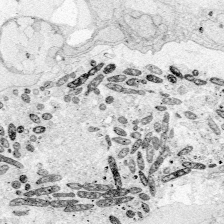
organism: Zebrafish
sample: Whole-Brain